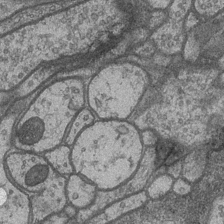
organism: Drosophila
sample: Optic medulla